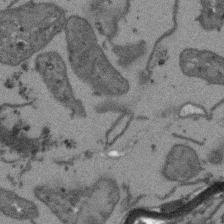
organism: Arabidopsis thaliana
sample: Root tip